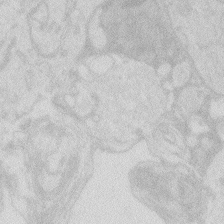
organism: Zebrafish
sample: Macrophage